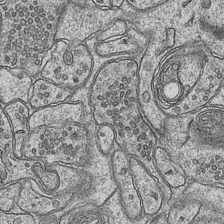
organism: Mouse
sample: CA1 Hippocampus